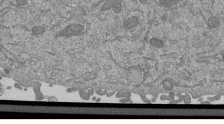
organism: Mouse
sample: ED-1 cell nuclei; centrioles